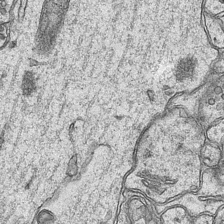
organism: Mouse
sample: CA1 Hippocampus